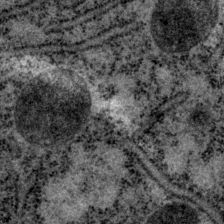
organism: P. pacificus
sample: Pharynx